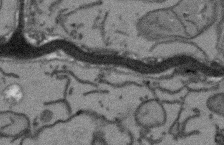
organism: Arabidopsis thaliana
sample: Root tip